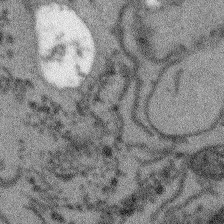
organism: Arabidopsis thaliana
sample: Root tip